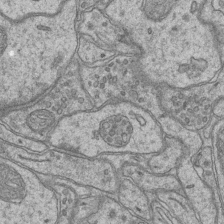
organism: Mouse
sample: CA1 Hippocampus